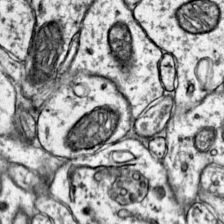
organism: Mouse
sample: Primary visual cortex